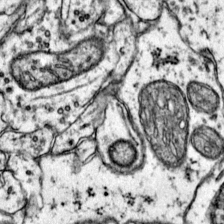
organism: Mouse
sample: Primary visual cortex